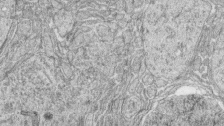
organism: Zebrafish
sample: synaptic ribbons in rod cells and cone cells